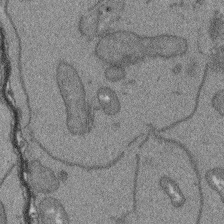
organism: Arabidopsis thaliana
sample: Root tip